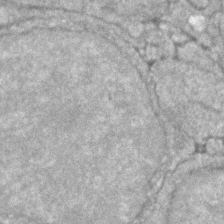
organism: Zebrafish